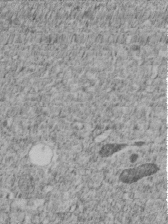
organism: C. elegans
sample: C. elegans embryo early stage